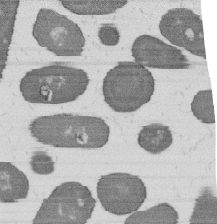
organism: B. subtilis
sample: Bacterial spore